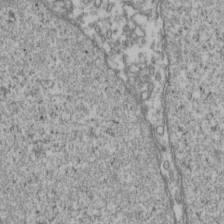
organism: Human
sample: Activated Jurkat CD4+ T cells